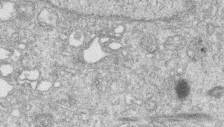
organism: Human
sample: HeLa cell HIV synapse